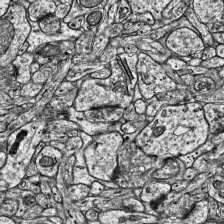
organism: Mouse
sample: Visual Cortex